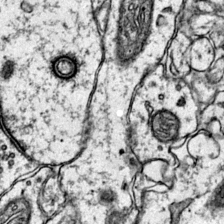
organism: Mouse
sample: Primary visual cortex